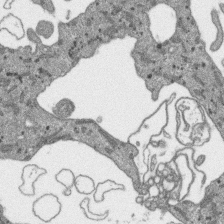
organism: Human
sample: Lung epithelial cells infected with SARS-CoV-2